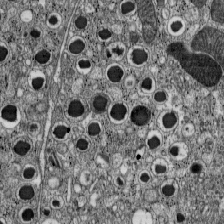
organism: C57BL Mouse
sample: Pancreatic islet